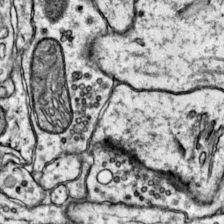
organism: Mouse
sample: Primary visual cortex